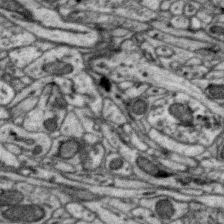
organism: Zebra finch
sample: Brain